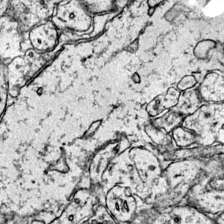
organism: Mouse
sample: Primary visual cortex